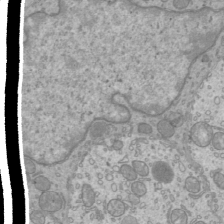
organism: Mouse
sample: Cilia; mouse epididymis